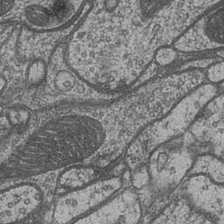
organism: Drosophila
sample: Optic medulla